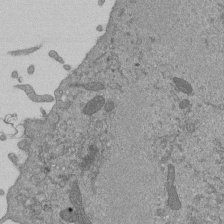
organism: Mouse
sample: ED-1 cell nuclei; centrioles